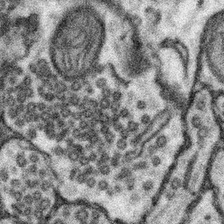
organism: Mouse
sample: Somatosensory cortex neuropil